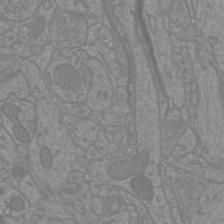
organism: Mouse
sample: Cortical neurons